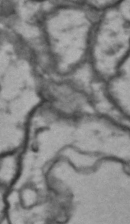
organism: Drosophila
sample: Brain